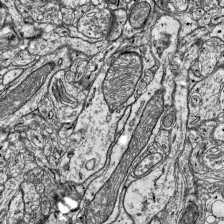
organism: Mouse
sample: Visual Cortex